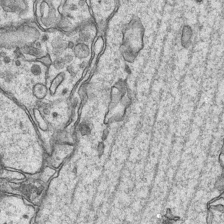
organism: Mouse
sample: CA1 Hippocampus